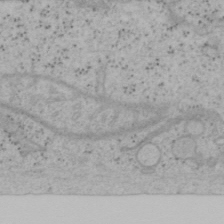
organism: Human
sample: HeLa cells